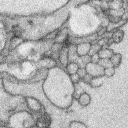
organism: Rabbit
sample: Retina